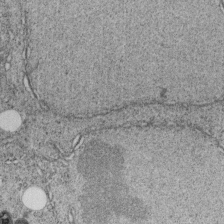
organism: C. elegans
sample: C. elegans embryo early stage